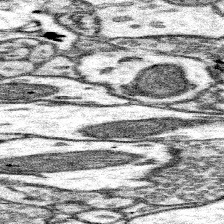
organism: Mouse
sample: Somatosensory cortex neuropil